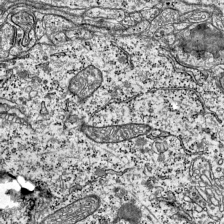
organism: Mouse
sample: Visual Cortex